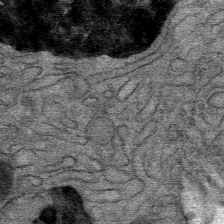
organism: Mouse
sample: Mouse Salivary gland